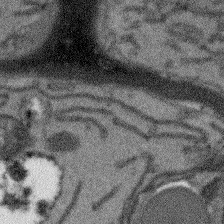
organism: Arabidopsis thaliana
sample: Root tip